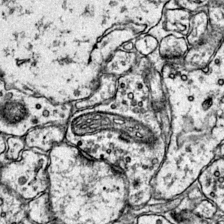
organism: Mouse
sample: Primary visual cortex